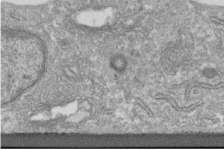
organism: Human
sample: Centriole in fibroblast cells